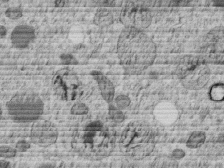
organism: C. elegans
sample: C. elegans embryo early stage